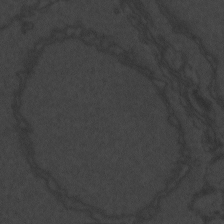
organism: Zebrafish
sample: Macrophage infected with Toxoplasma gondii